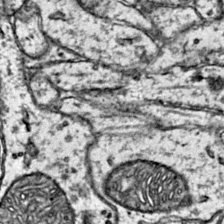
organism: Mouse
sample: Primary visual cortex